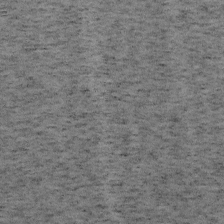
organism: Mouse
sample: OT-I killer T cells with ID8 ovarian cancer cells